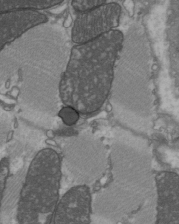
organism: C57BL Mouse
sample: Heart